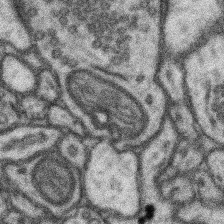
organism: Mouse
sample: Somatosensory cortex neuropil